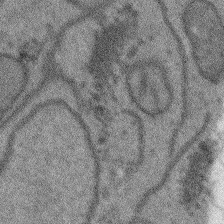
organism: Arabidopsis thaliana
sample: Root tip